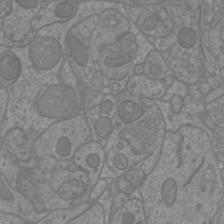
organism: Mouse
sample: Cortical neurons